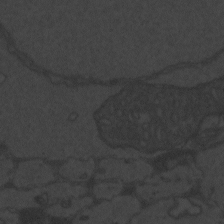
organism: Zebrafish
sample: Macrophage infected with Toxoplasma gondii